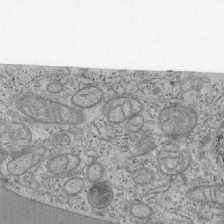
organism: Human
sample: HeLa cells